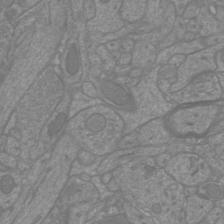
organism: Mouse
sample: Cortical neurons